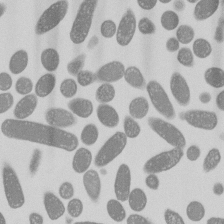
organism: E. coli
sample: Bacterial nucleoid